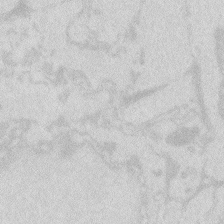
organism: Zebrafish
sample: Macrophage